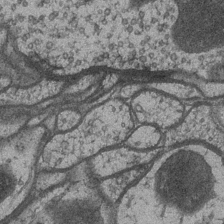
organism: Drosophila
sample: Optic medulla